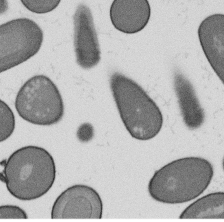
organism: B. subtilis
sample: Bacterial spore